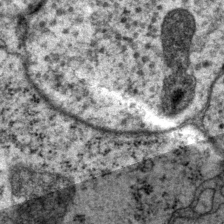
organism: P. pacificus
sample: Pharynx